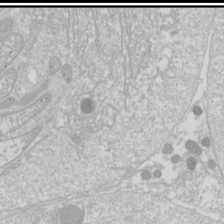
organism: Drosophila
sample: Cell division; meiosis; drosophila spermatocytes